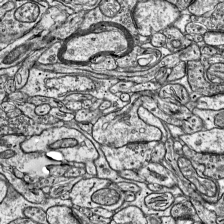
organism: Mouse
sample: Visual Cortex